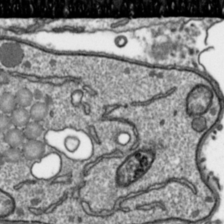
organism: Toxoplasma gondii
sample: Parasites in a vacuole inside a host cell